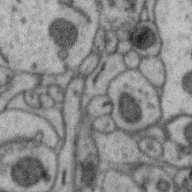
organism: Zebra finch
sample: Brain